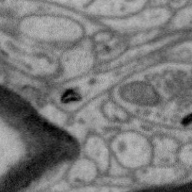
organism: Zebra finch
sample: Brain